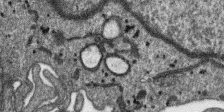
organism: Human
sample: Lung epithelial cells infected with SARS-CoV-2